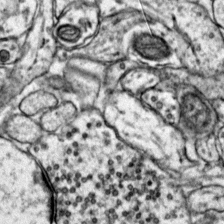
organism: Mouse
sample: Primary visual cortex